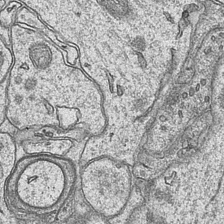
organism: Mouse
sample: CA1 Hippocampus